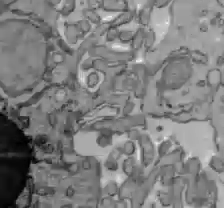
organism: C57BL Mouse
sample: Liver